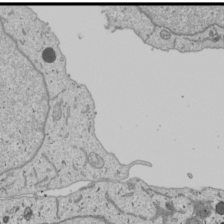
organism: Human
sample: Mitochondria in U2OS cells